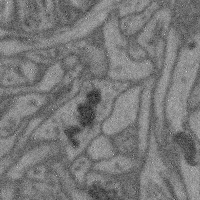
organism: Mouse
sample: Cerebral cortex